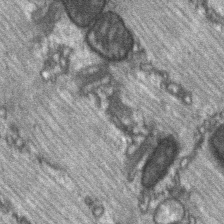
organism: C57BL Mouse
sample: Soleus